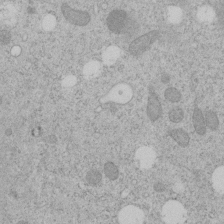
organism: C. elegans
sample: C. elegans embryo early stage